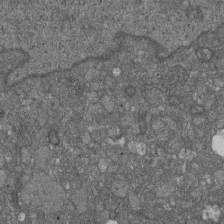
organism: Drosophila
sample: Nephrocyte